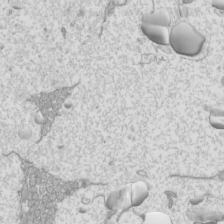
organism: Mouse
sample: Cilia; mouse epididymis